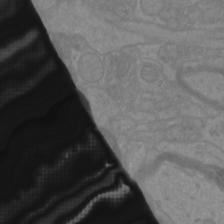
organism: Mouse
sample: Cortical neurons